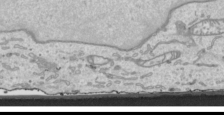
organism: Human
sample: Mitochondria in HCT116 cells